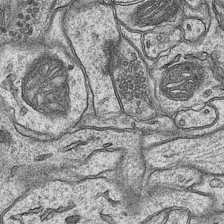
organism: Mouse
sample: CA1 Hippocampus